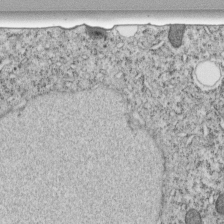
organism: C. elegans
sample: C. elegans embryo early stage